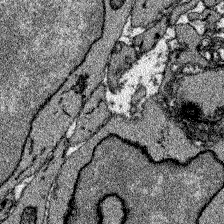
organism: Zebrafish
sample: Larval olfactory bulb